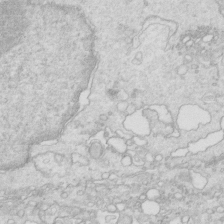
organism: Mouse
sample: Multiciliated cells